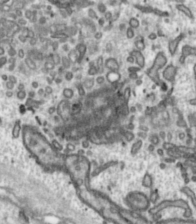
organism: Toxoplasma gondii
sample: Parasites in a vacuole inside a host cell